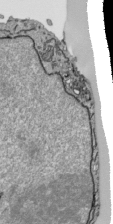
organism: Human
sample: Mitochondria in HCT116 cells